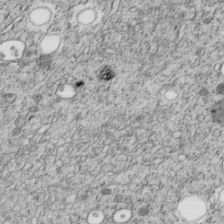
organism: C. elegans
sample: C. elegans embryo early stage